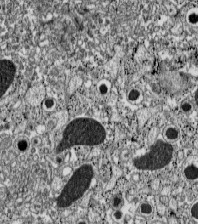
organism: C57BL Mouse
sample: Pancreatic islet